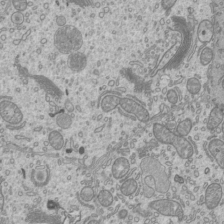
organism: Mouse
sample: Cilia; mouse epididymis